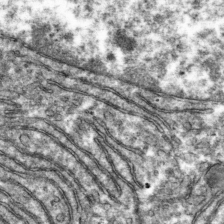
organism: Mouse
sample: Mouse hepatocytes